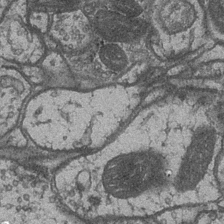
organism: Drosophila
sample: Optic medulla